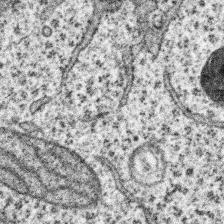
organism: Human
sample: HeLa cells